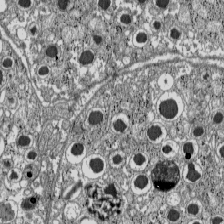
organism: C57BL Mouse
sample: Pancreatic islet